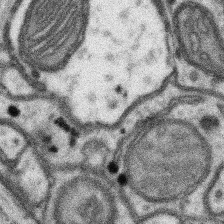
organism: Mouse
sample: Somatosensory cortex neuropil